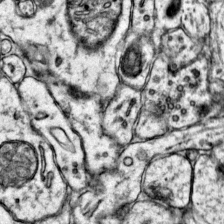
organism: Mouse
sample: Primary visual cortex